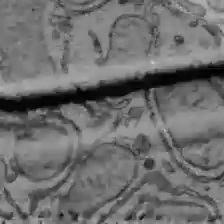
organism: C57BL Mouse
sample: Liver